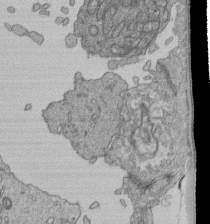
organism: Human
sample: Retinal organoid Rod and Cone cells